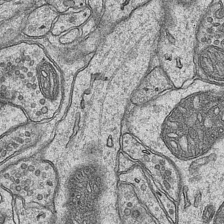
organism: Mouse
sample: CA1 Hippocampus